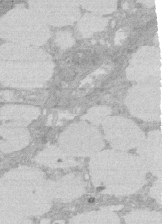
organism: Rat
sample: Salivary granule